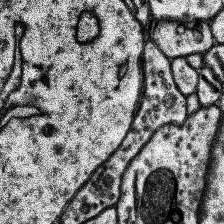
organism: Human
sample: Temporal Lobe